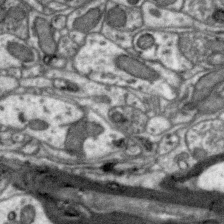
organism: Zebra finch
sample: Brain